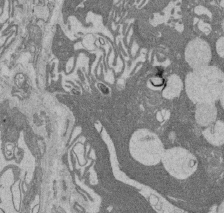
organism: Rat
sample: Salivary granule